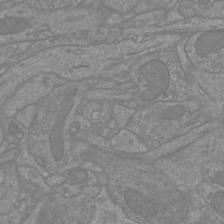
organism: Mouse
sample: Cortical neurons